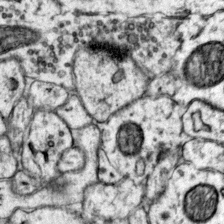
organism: Mouse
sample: Primary visual cortex